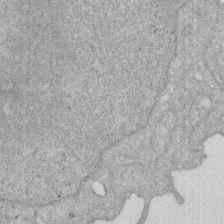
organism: Human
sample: HIV infected U937 cells